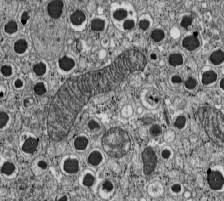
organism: C57BL Mouse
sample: Pancreatic islet